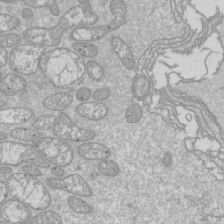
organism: Drosophila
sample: Cell division; meiosis; drosophila spermatocytes